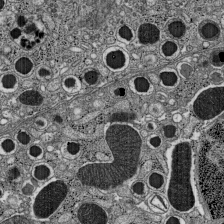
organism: C57BL Mouse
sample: Pancreatic islet